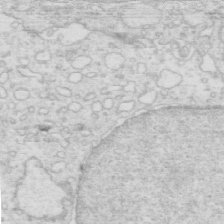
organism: Mouse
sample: Multiciliated cells